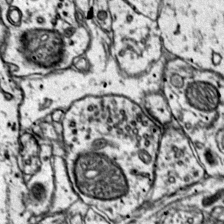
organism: Mouse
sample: Primary visual cortex